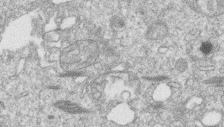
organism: Human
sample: HeLa cell HIV synapse